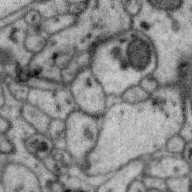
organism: Zebra finch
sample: Brain